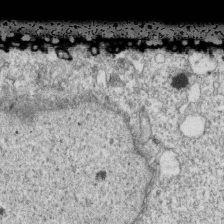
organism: Human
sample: HeLa cell HIV synapse